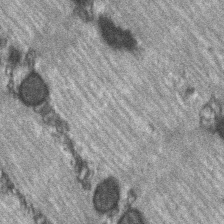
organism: C57BL Mouse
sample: Soleus